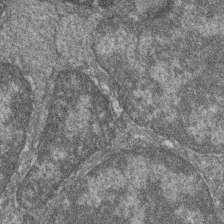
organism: Zebrafish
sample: Cilia; retinal pigment epithelium